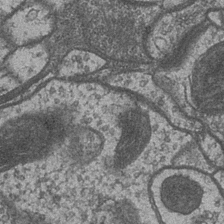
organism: Drosophila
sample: Optic medulla